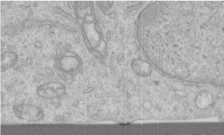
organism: Human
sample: Centriole in RPE cells